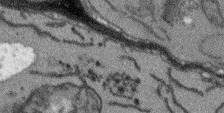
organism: Arabidopsis thaliana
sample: Root tip